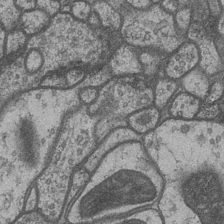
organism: Drosophila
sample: Optic medulla